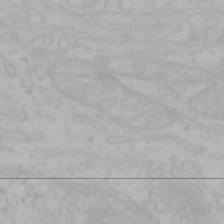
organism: Mouse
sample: Choroid plexus